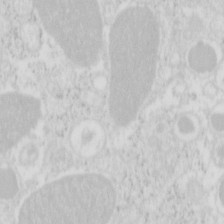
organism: Mouse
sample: Pancreas